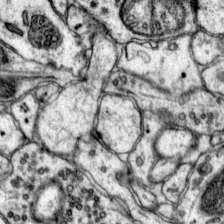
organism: Mouse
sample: Primary visual cortex